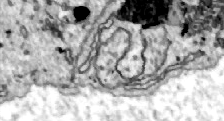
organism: Zebrafish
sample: Actinotrichia fibers